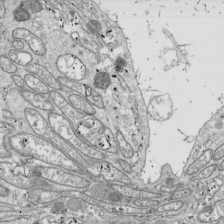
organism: Drosophila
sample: Cell division; meiosis; drosophila spermatocytes